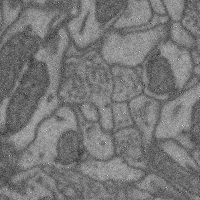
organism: Mouse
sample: Cerebral cortex